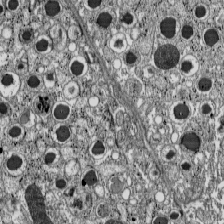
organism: C57BL Mouse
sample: Pancreatic islet